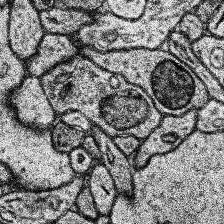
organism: Human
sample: Temporal Lobe